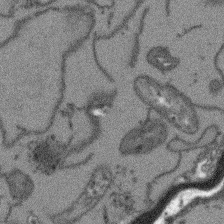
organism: Arabidopsis thaliana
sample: Root tip